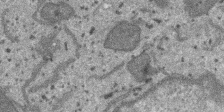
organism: Human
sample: Lung epithelial cells infected with SARS-CoV-2